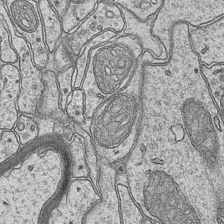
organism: Mouse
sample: CA1 Hippocampus